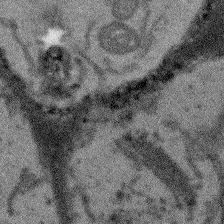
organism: Arabidopsis thaliana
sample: Root tip